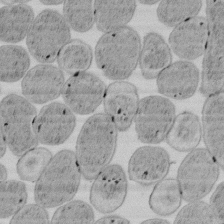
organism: E. coli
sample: Bacterial nucleoid